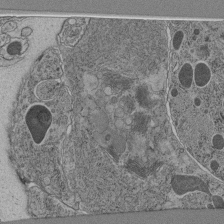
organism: C. elegans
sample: C. elegans pharynx